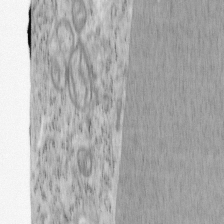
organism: Human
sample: HeLa cells